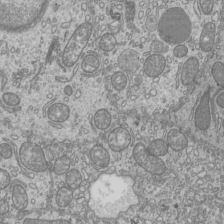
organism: Mouse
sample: Cilia; mouse epididymis